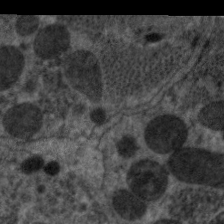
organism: C. elegans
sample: Pharynx